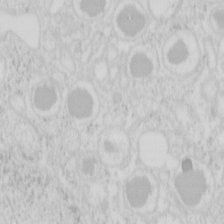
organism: Mouse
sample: Pancreas